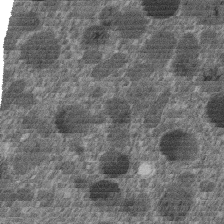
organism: C. elegans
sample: C. elegans embryo early stage